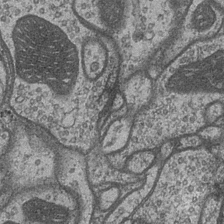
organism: Drosophila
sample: Optic medulla